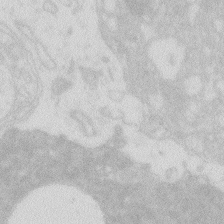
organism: Zebrafish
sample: Macrophage